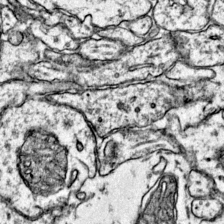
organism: Mouse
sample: Primary visual cortex